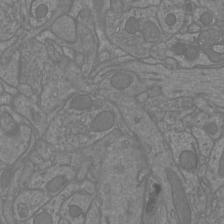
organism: Mouse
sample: Cortical neurons